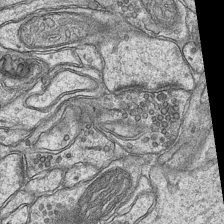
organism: Mouse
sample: CA1 Hippocampus